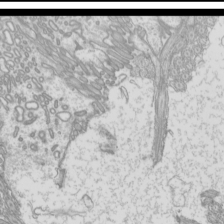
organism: Mouse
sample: Cilia; mouse epididymis